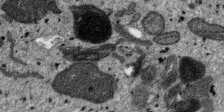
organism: Human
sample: Lung epithelial cells, uninfected (mock) control